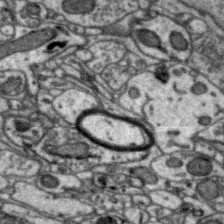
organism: Zebra finch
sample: Brain